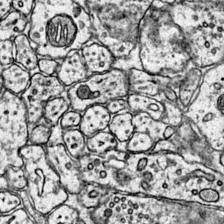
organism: Mouse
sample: Primary visual cortex